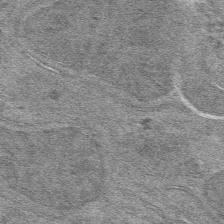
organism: Mouse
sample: Mouse hepatocytes